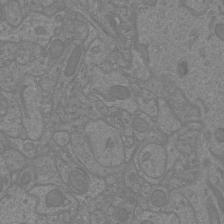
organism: Mouse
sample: Cortical neurons